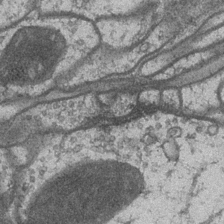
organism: Drosophila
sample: Optic medulla